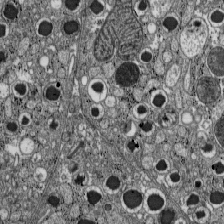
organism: C57BL Mouse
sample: Pancreatic islet